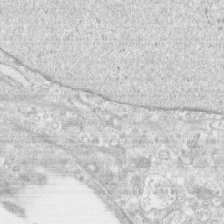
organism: Human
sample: CRL-1474